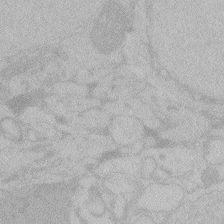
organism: Zebrafish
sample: Macrophage infected with Toxoplasma gondii